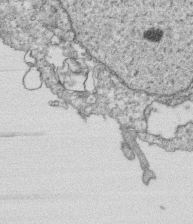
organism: Human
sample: HeLa cell HIV synapse